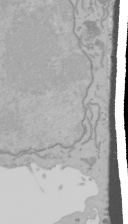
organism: Mouse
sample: Cancer cell death in ED-1 cells